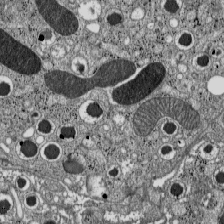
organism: C57BL Mouse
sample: Pancreatic islet